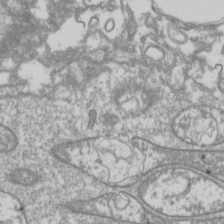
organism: Drosophila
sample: Cell division; meiosis; drosophila spermatocytes